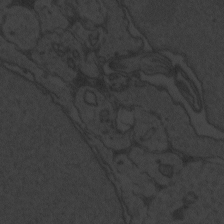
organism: Zebrafish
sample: Macrophage infected with Toxoplasma gondii